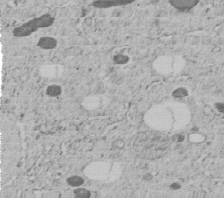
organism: C. elegans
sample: C. elegans embryo early stage